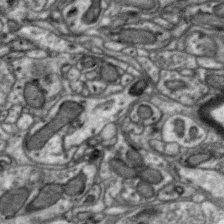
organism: Zebra finch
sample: Brain